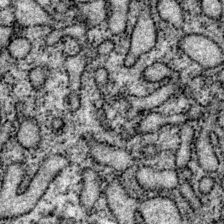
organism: P. pacificus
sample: Pharynx